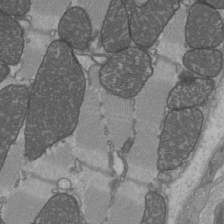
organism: C57BL Mouse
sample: Heart